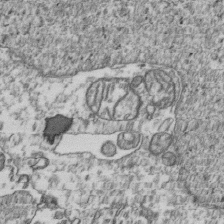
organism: Human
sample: Activated Jurkat CD4+ T cells